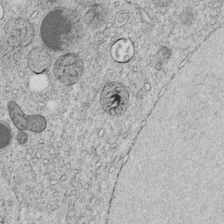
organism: C. elegans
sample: C. elegans embryo early stage